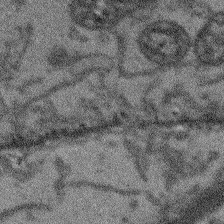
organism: Arabidopsis thaliana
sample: Root tip